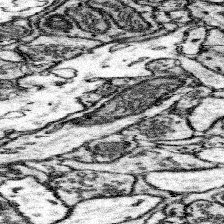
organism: Mouse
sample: Somatosensory cortex neuropil